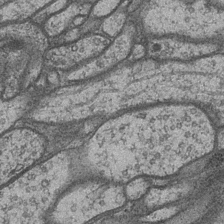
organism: Drosophila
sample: Optic medulla